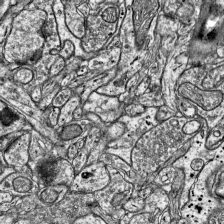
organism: Mouse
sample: Visual Cortex